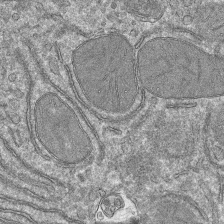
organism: Mouse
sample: Mouse hepatocytes